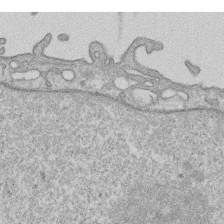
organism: Human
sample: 1205lu cells